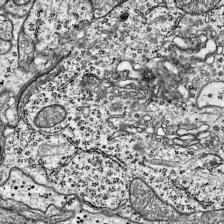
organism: Mouse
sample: Visual Cortex